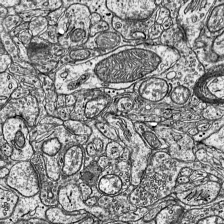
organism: Mouse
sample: Visual Cortex